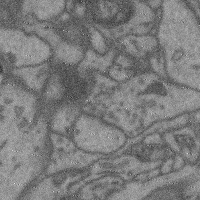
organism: Mouse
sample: Cerebral cortex